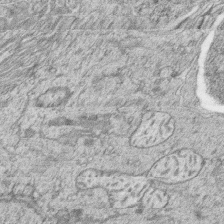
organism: Zebrafish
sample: synaptic ribbons in rod cells and cone cells